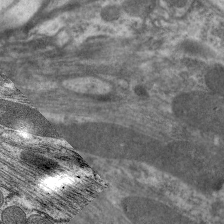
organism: C. elegans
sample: Pharynx